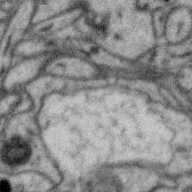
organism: Zebra finch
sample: Brain